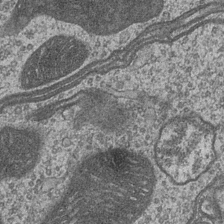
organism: Drosophila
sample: Optic medulla